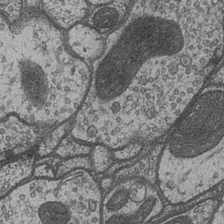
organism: Drosophila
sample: Optic medulla